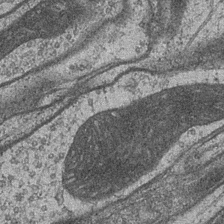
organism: Drosophila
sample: Optic medulla